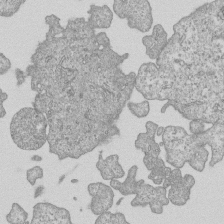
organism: Human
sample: MDA-MB-231 cells